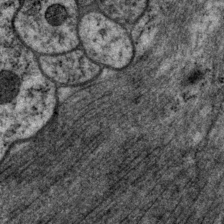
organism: P. pacificus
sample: Pharynx